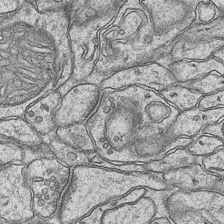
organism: Mouse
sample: CA1 Hippocampus